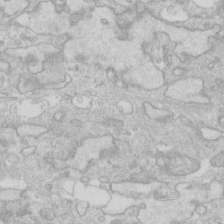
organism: Human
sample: Fibroblast cells